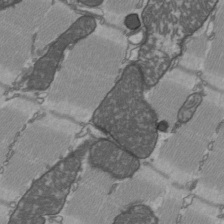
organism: C57BL Mouse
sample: Heart